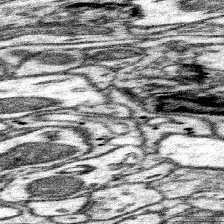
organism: Mouse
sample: Somatosensory cortex neuropil